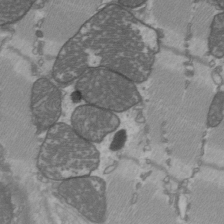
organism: C57BL Mouse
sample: Heart